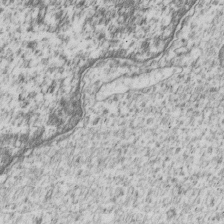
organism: Human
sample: MDA-MB-231 cells